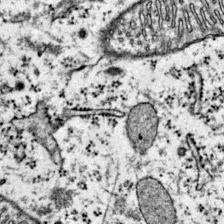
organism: Mouse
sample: Primary visual cortex